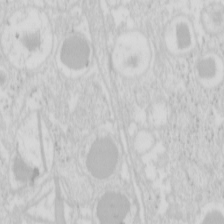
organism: Mouse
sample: Pancreas